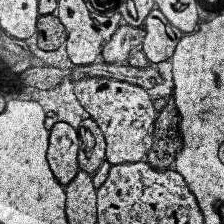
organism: Human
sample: Temporal Lobe